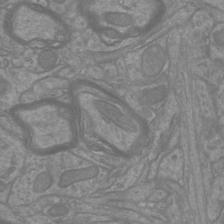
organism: Mouse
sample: Cortical neurons